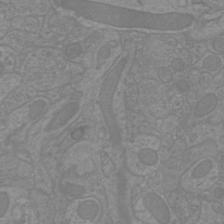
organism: Mouse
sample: Cortical neurons